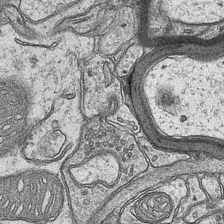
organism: Mouse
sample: CA1 Hippocampus